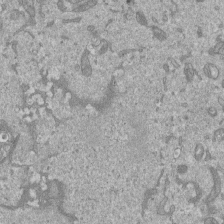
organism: Mouse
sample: ED-1 cell nuclei; centrioles